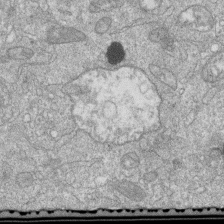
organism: Human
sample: HeLa cell HIV synapse